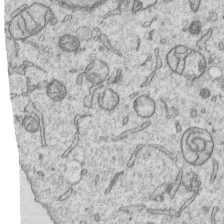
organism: Human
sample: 1205lu cells